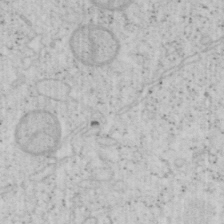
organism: Human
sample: HeLa cells